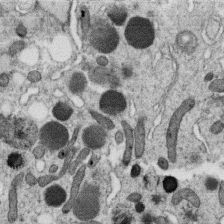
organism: C. elegans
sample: C. elegans oocyte; sperm cells